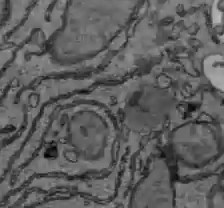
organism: C57BL Mouse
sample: Liver